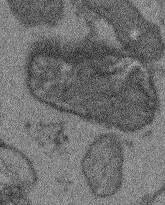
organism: Arabidopsis thaliana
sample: Root tip